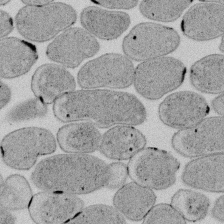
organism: E. coli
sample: Bacterial nucleoid